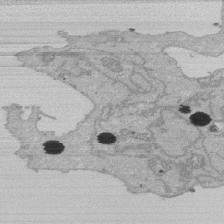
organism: Human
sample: Activated Jurkat CD4+ T cells